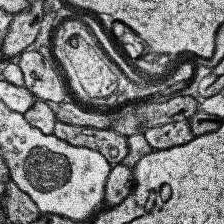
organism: Human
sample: Temporal Lobe